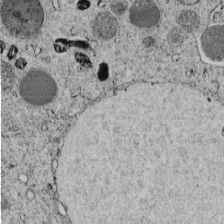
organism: C. elegans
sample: C. elegans embryo early stage